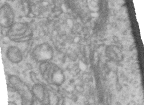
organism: Human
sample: Centriole in RPE cells